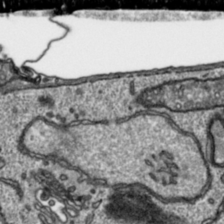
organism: Toxoplasma gondii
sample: Parasites in a vacuole inside a host cell